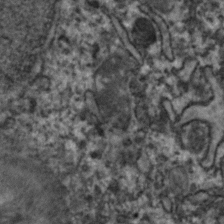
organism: Zebrafish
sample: Zebrafish embryo